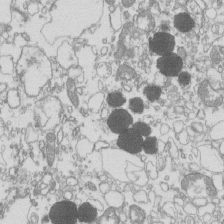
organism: Mouse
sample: Macrophages